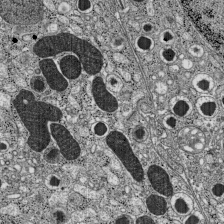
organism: C57BL Mouse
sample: Pancreatic islet